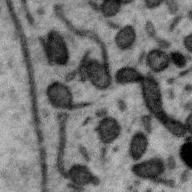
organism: Zebra finch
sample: Brain